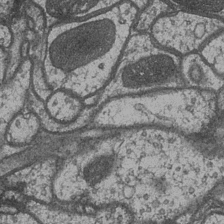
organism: Drosophila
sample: Optic medulla